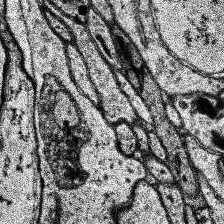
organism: Human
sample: Temporal Lobe